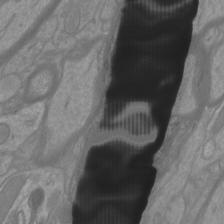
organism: Mouse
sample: Cortical neurons